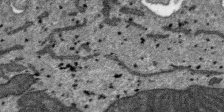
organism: Human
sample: Lung epithelial cells, uninfected (mock) control